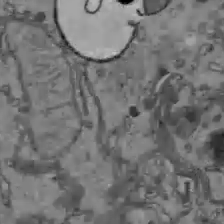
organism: C57BL Mouse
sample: Liver